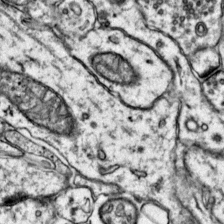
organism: Mouse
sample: Primary visual cortex